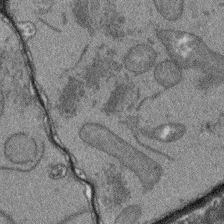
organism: Arabidopsis thaliana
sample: Root tip